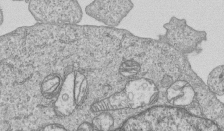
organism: Human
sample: MDA-MB-231 cells